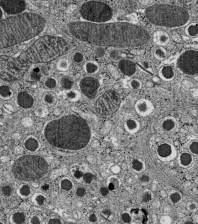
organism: C57BL Mouse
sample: Pancreatic islet